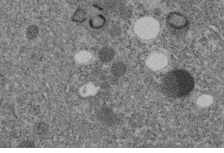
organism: C. elegans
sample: C. elegans embryo early stage